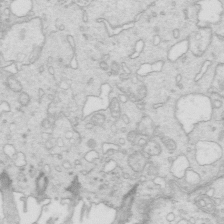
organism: Mouse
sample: Multiciliated cells